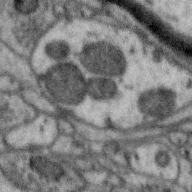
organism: Zebra finch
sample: Brain